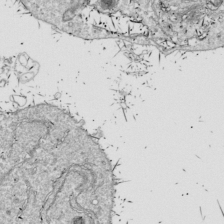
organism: Drosophila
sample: Cell division; meiosis; drosophila spermatocytes